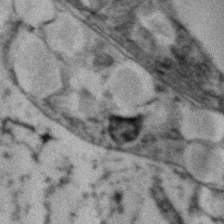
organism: Zebrafish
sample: Zebrafish embryo